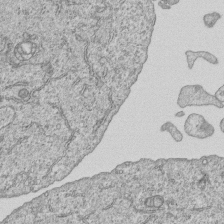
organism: Human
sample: MDA-MB-231 cells